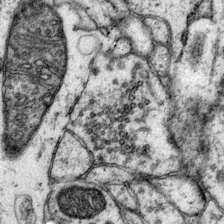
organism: Mouse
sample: Primary visual cortex